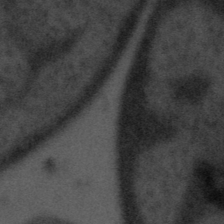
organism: Tuwongella immobilis